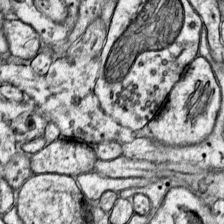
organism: Mouse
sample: Primary visual cortex